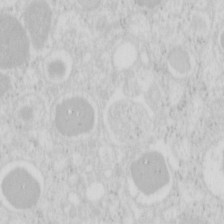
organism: Mouse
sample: Pancreas